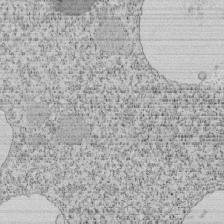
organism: Tetrahymena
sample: Cilia in tetrahymena